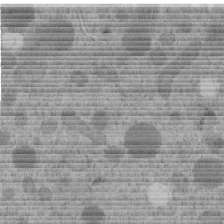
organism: C. elegans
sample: C. elegans embryo early stage